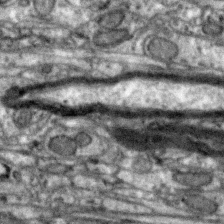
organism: Zebra finch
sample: Brain